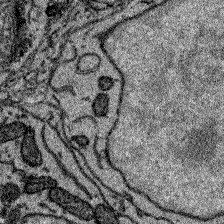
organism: Zebrafish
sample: Larval olfactory bulb